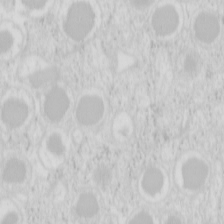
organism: Mouse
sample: Pancreas